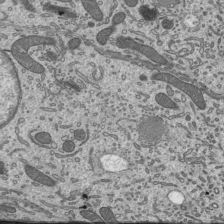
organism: Mouse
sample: Mouse epididymis efferent ductule cilia